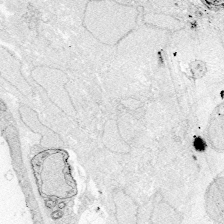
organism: Zebrafish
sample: Whole-Brain